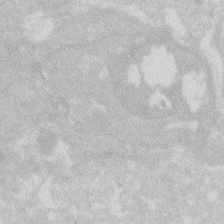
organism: Zebrafish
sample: Macrophage